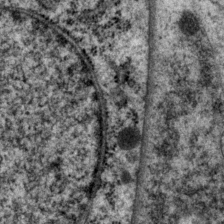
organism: P. pacificus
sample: Pharynx